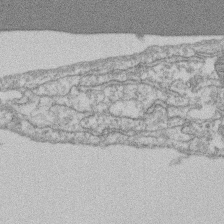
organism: Mouse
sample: T cell stromal cell synapse